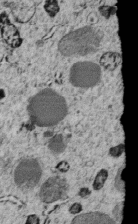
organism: C. elegans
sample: C. elegans embryo early stage